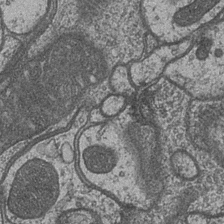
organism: Drosophila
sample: Optic medulla